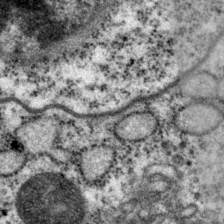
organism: P. pacificus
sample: Pharynx